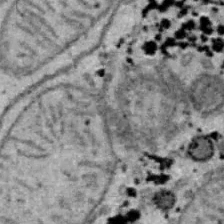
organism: Mouse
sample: Liver from an obese (ob/ob) mouse